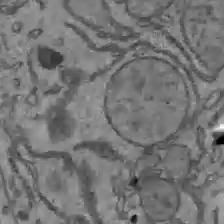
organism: C57BL Mouse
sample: Liver